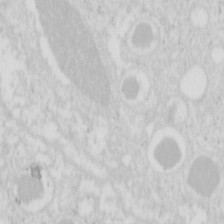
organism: Mouse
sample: Pancreas